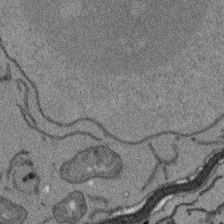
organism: Arabidopsis thaliana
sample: Root tip